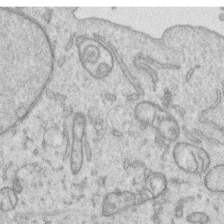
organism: Human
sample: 1205lu cells